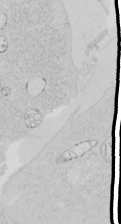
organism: Human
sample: Mitochondria in HCT116 cells